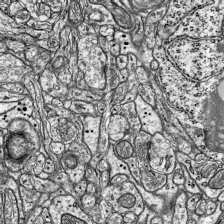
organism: Mouse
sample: Visual Cortex